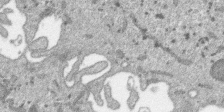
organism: Human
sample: Lung epithelial cells infected with SARS-CoV-2